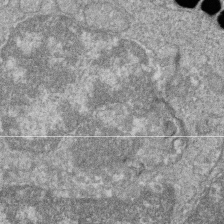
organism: Zebrafish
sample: Cilia; retinal pigment epithelium